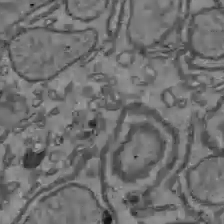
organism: C57BL Mouse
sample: Liver